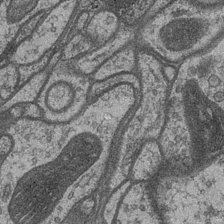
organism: Drosophila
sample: Optic medulla